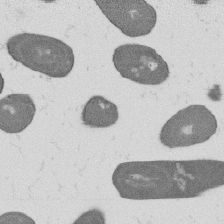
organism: B. subtilis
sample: Bacterial spore